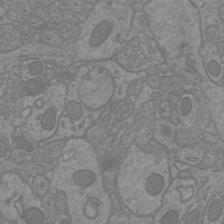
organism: Mouse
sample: Cortical neurons